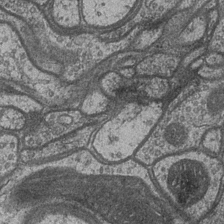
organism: Drosophila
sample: Optic medulla